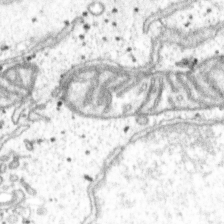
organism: Human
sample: HeLa cells